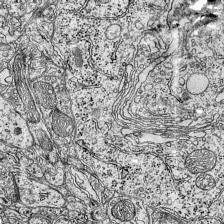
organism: Mouse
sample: Visual Cortex